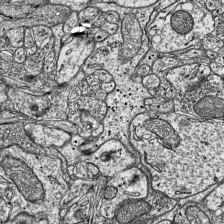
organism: Mouse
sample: Visual Cortex